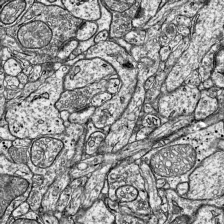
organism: Mouse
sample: Visual Cortex